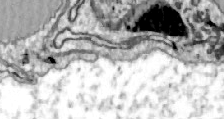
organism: Zebrafish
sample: Actinotrichia fibers